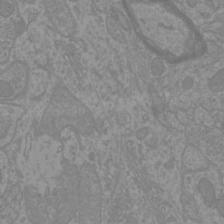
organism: Mouse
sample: Cortical neurons